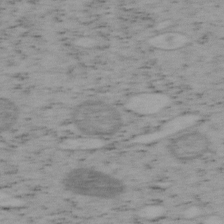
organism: Mouse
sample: OT-I killer T cells with ID8 ovarian cancer cells